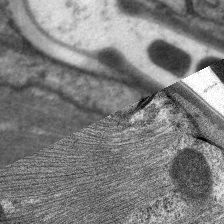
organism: C. elegans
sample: Pharynx